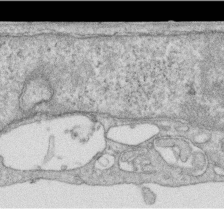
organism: Human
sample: Centriole in RPE cells